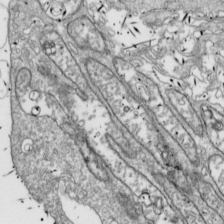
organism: Drosophila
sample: Cell division; meiosis; drosophila spermatocytes